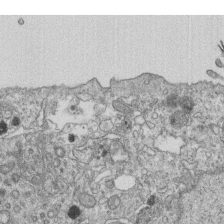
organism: Human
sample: HeLa cell HIV synapse